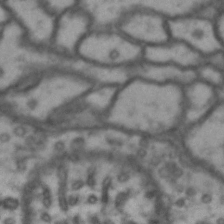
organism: Drosophila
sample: Brain